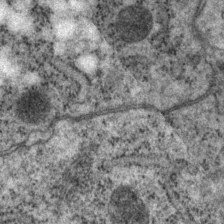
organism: P. pacificus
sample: Pharynx